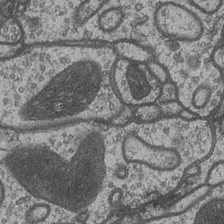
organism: Drosophila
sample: Optic medulla